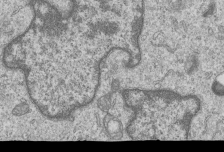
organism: Human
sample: MDA-MB-231 cells